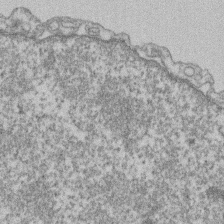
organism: Mouse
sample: T cell stromal cell synapse